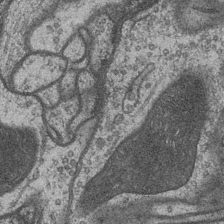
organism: Drosophila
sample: Optic medulla